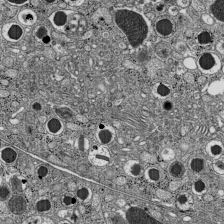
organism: C57BL Mouse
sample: Pancreatic islet